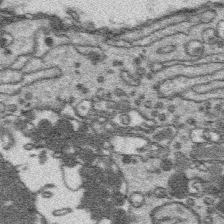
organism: Platynereis dumerilii